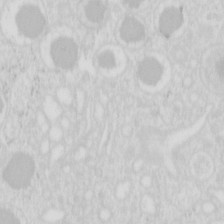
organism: Mouse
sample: Pancreas